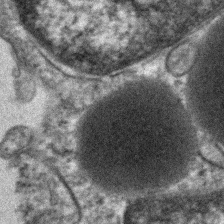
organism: Human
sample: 1205lu cells